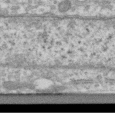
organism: Human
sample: Centriole in RPE cells